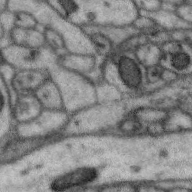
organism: Zebra finch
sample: Brain